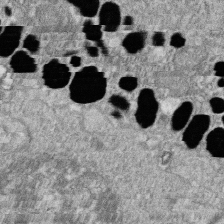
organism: Zebrafish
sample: Cilia; retinal pigment epithelium